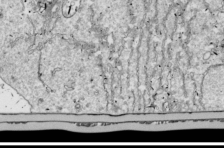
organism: Drosophila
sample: Cell division; meiosis; drosophila spermatocytes